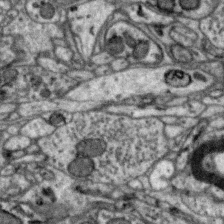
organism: Zebra finch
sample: Brain